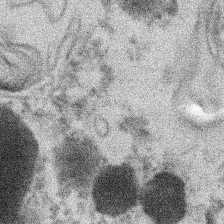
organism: Xenopus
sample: Cilia; centrioles in frog embryo cells